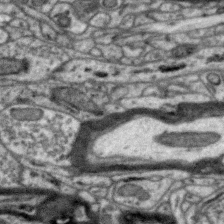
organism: Zebra finch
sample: Brain